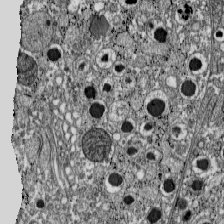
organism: C57BL Mouse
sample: Pancreatic islet